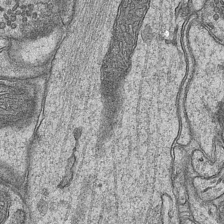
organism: Mouse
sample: CA1 Hippocampus